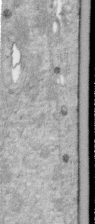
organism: Human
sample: Centriole in RPE cells